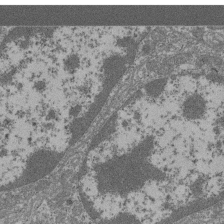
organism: Mouse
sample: Glomerulus